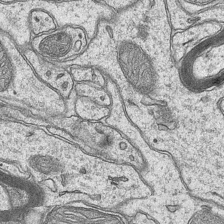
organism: Mouse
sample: CA1 Hippocampus